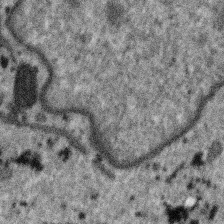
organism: Human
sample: Lung epithelial cells infected with SARS-CoV-2